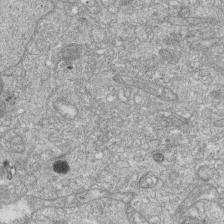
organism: Human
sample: HeLa cell HIV synapse